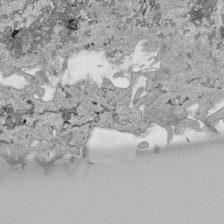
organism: Human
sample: Mitochondria in HCT116 cells